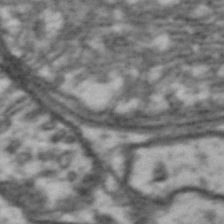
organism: Drosophila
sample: Brain